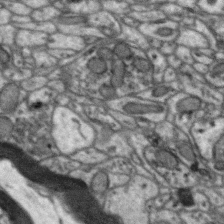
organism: Zebra finch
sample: Brain